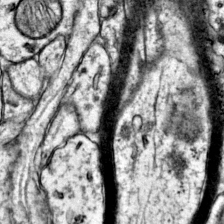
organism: Mouse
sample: Primary visual cortex